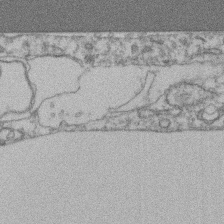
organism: Mouse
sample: T cell stromal cell synapse